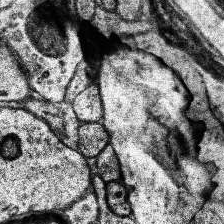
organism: Human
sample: Temporal Lobe